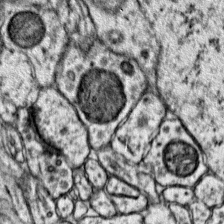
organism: Mouse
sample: Primary visual cortex